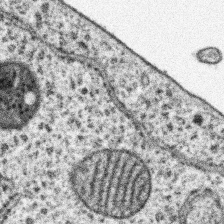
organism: Human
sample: HeLa cells